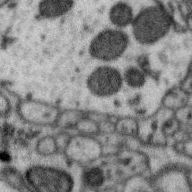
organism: Zebra finch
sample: Brain